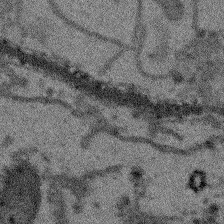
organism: Arabidopsis thaliana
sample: Root tip